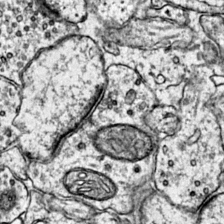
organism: Mouse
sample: Primary visual cortex